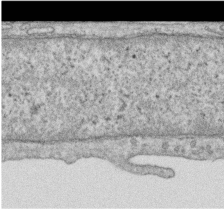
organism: Human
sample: Centriole in RPE cells